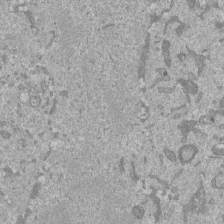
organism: Mouse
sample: ED-1 cell nuclei; centrioles